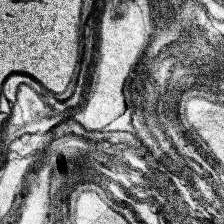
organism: Human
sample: Temporal Lobe